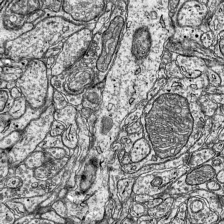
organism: Mouse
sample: Visual Cortex